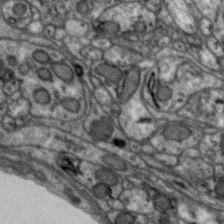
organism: Zebra finch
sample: Brain